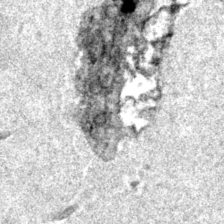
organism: Murine (Unspecified Species)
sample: Bone